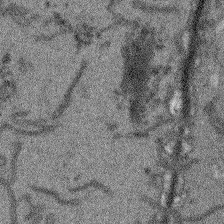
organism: Arabidopsis thaliana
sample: Root tip